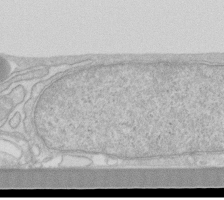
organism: Human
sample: Fibroblast cells